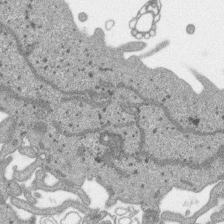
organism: Human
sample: Lung epithelial cells infected with SARS-CoV-2